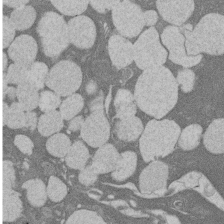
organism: Rat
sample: Salivary granule